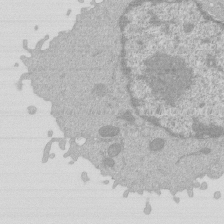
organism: Mouse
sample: Activated Pmel transgenic CD8+ T Cells